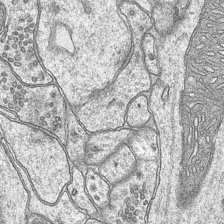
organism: Mouse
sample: CA1 Hippocampus